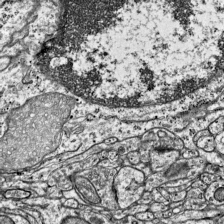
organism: Mouse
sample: Visual Cortex